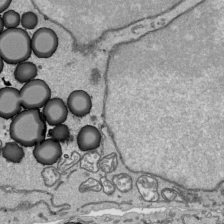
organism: Human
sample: Mitochondria in HCT116 cells